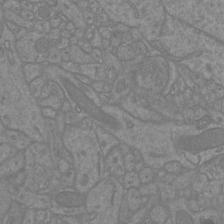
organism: Mouse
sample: Cortical neurons